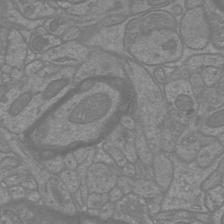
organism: Mouse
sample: Cortical neurons